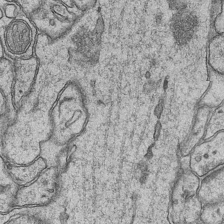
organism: Mouse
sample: CA1 Hippocampus